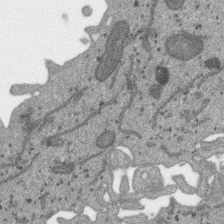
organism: Human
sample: Lung epithelial cells infected with SARS-CoV-2